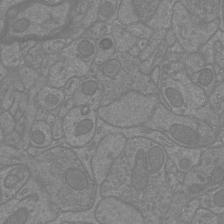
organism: Mouse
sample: Cortical neurons